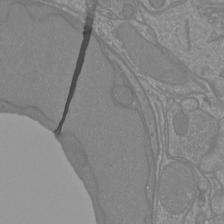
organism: Mouse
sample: Cortical neurons